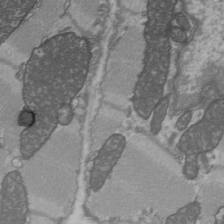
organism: C57BL Mouse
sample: Heart